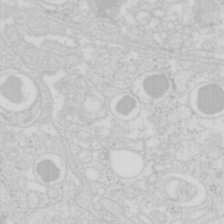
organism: Mouse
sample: Pancreas